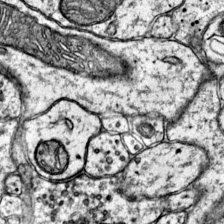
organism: Mouse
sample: Primary visual cortex